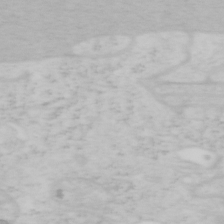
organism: Mouse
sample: OT-I killer T cells with ID8 ovarian cancer cells